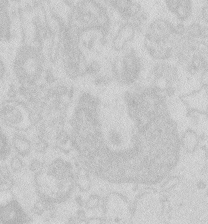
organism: Zebrafish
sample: Macrophage